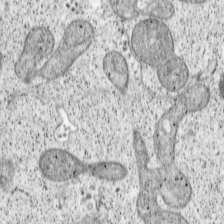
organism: African green monkey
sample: COS-7 cells